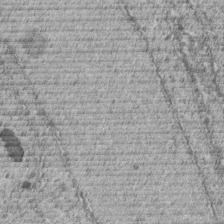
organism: C. elegans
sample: C. elegans embryo early stage